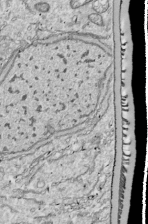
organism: Drosophila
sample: Cell division; meiosis; drosophila spermatocytes